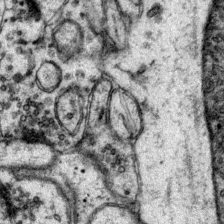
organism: Mouse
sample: Primary visual cortex